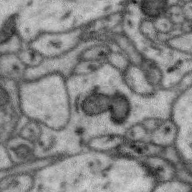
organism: Zebra finch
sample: Brain